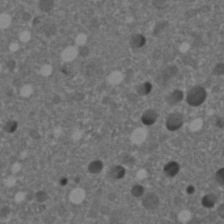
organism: C. elegans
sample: C. elegans embryo